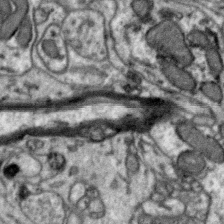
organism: Zebra finch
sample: Brain